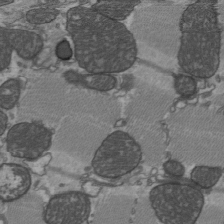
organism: C57BL Mouse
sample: Heart